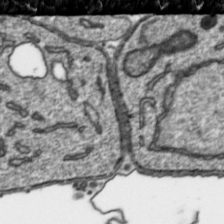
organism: Toxoplasma gondii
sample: Parasites in a vacuole inside a host cell